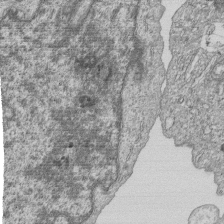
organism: Human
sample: MDA-MB-231 cells